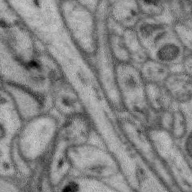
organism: Zebra finch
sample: Brain